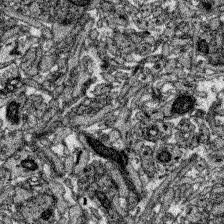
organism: Zebrafish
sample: Larval olfactory bulb